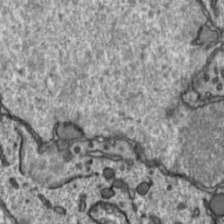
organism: Toxoplasma gondii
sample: Parasites in a vacuole inside a host cell